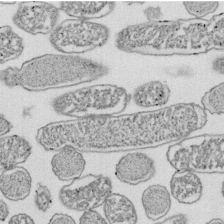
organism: E. coli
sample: Bacterial nucleoid